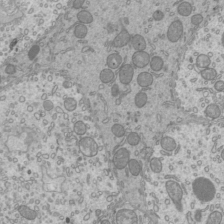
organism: Mouse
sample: Cilia; mouse epididymis